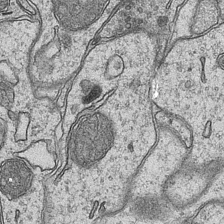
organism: Mouse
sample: CA1 Hippocampus